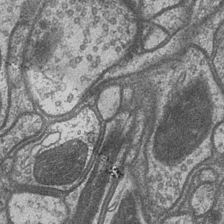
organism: Drosophila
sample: Optic medulla